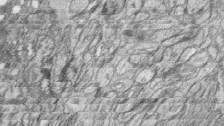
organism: Zebrafish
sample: synaptic ribbons in rod cells and cone cells